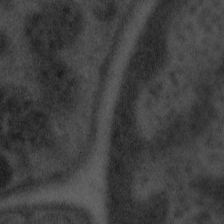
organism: Tuwongella immobilis